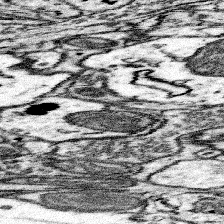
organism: Mouse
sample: Somatosensory cortex neuropil